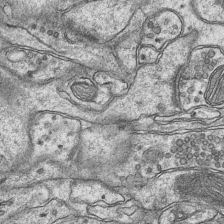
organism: Mouse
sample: CA1 Hippocampus